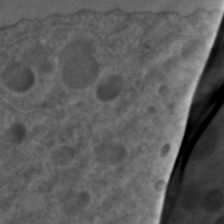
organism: C. elegans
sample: C. elegans embryo